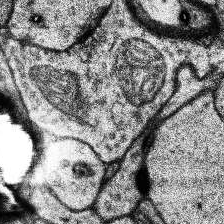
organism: Human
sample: Temporal Lobe